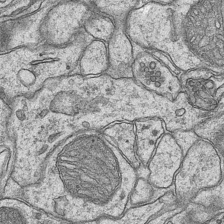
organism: Mouse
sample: CA1 Hippocampus